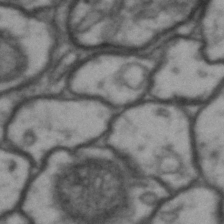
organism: Drosophila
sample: Brain